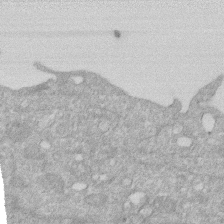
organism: Human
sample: HIV infected U937 cells